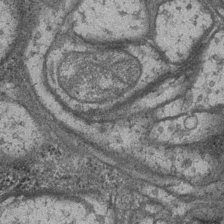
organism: Drosophila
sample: Optic medulla